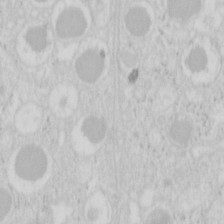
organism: Mouse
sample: Pancreas